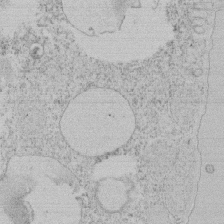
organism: Tetrahymena